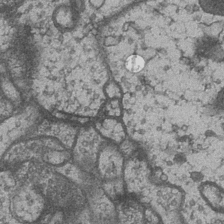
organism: Drosophila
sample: Optic medulla